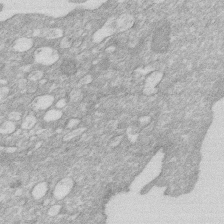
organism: Human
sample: HIV infected U937 cells